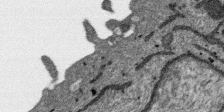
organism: Human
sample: Lung epithelial cells, uninfected (mock) control